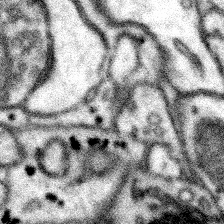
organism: Mouse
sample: Somatosensory cortex neuropil